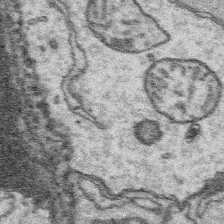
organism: Platynereis dumerilii